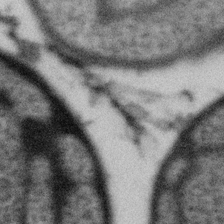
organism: Gemmata obscuriglobus